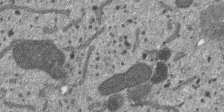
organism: Human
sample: Lung epithelial cells infected with SARS-CoV-2